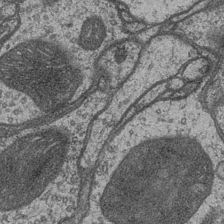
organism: Drosophila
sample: Optic medulla